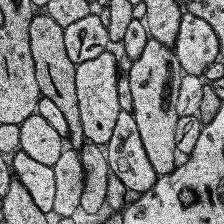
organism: Human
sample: Temporal Lobe